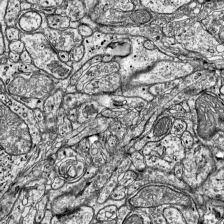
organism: Mouse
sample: Visual Cortex